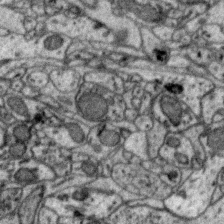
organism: Zebra finch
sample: Brain